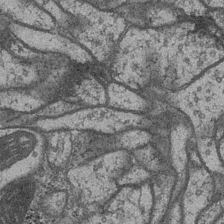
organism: Drosophila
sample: Optic medulla